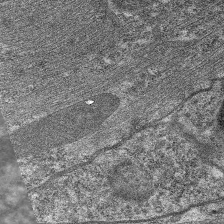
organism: C. elegans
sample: Pharynx